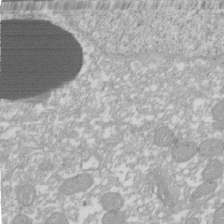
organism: Xenopus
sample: Cilia; centrioles in frog embryo cells